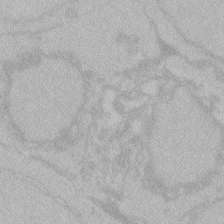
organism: Zebrafish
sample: Macrophage infected with Toxoplasma gondii